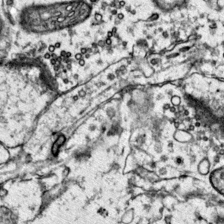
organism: Mouse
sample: Primary visual cortex